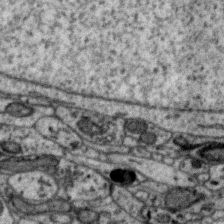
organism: Zebra finch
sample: Brain